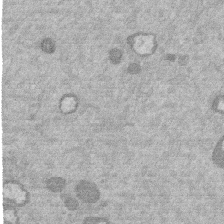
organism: Mouse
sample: Dividing mouse embryo 1 cell stage